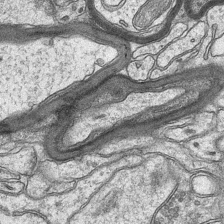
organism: Mouse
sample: CA1 Hippocampus